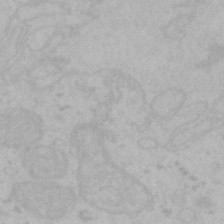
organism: Mouse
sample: Choroid plexus